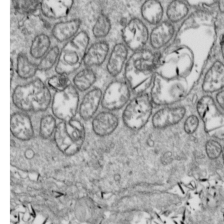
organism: Drosophila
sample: Cell division; meiosis; drosophila spermatocytes